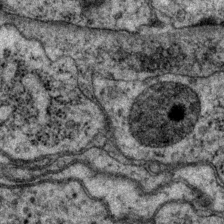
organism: P. pacificus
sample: Pharynx